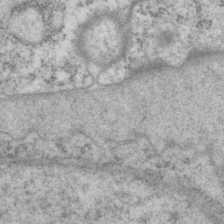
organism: P. pacificus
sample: Pharynx